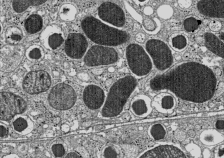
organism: C57BL Mouse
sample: Pancreatic islet